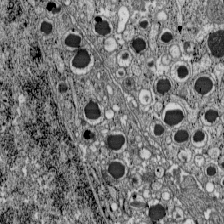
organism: C57BL Mouse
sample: Pancreatic islet